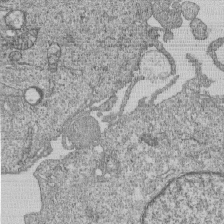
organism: Human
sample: MDA-MB-231 cells